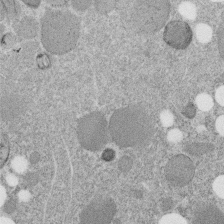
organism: C. elegans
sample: C. elegans embryo early stage